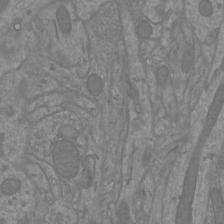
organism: Mouse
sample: Cortical neurons